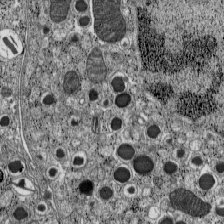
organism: C57BL Mouse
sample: Pancreatic islet